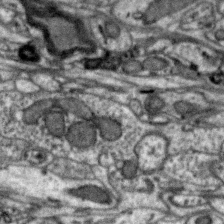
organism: Zebra finch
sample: Brain